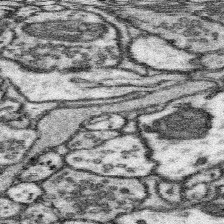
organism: Mouse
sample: Somatosensory cortex neuropil